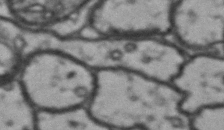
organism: Drosophila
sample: Brain